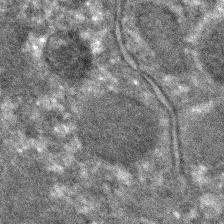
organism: C. elegans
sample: C. elegans embryo